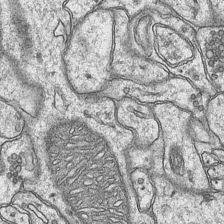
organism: Mouse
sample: CA1 Hippocampus